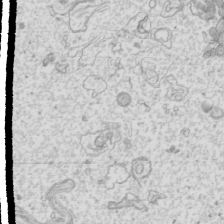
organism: Mouse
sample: Cilia; mouse epididymis